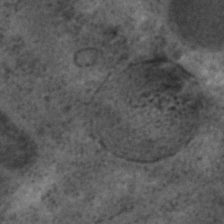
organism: C. elegans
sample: C. elegans embryo